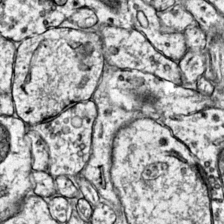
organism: Mouse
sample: Primary visual cortex